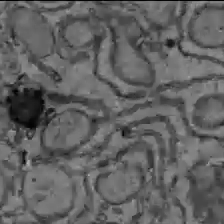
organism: C57BL Mouse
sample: Liver